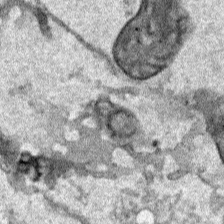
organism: Human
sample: Mitochondria in HCT116 cells